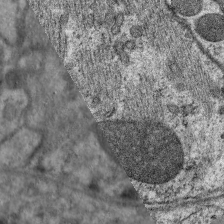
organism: C. elegans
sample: Pharynx